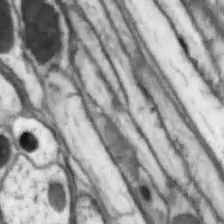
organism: Drosophila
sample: Optic lobe